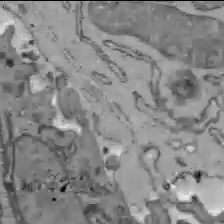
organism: C57BL Mouse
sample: Liver